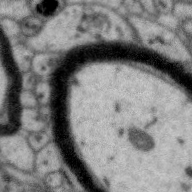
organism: Zebra finch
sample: Brain